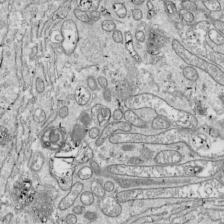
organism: Drosophila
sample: Cell division; meiosis; drosophila spermatocytes